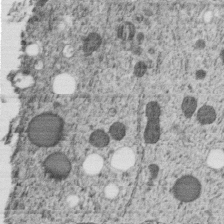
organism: C. elegans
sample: C. elegans embryo early stage